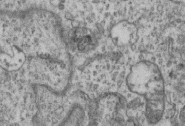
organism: Mouse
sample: Centriole in ependymal cells